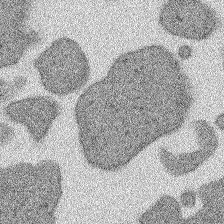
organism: Human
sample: HeLa cells